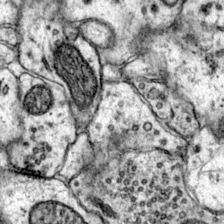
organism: Mouse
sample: Primary visual cortex